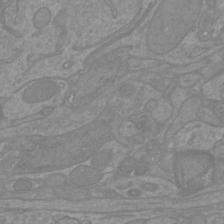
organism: Mouse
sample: Cortical neurons